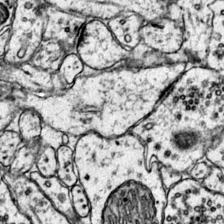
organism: Mouse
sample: Primary visual cortex